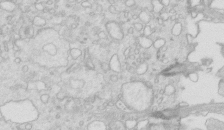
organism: Mouse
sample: Multiciliated cells